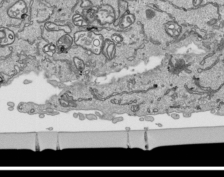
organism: Human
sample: Mitochondria in HCT116 cells